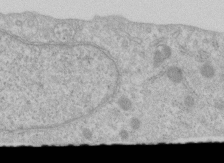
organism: Human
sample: Centriole in RPE cells